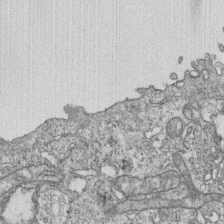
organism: Human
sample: HeLa cell HIV synapse